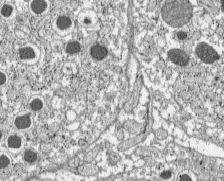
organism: C57BL Mouse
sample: Pancreatic islet